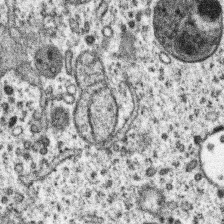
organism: Human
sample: HeLa cells